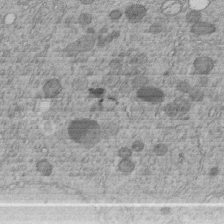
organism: C. elegans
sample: C. elegans embryo early stage